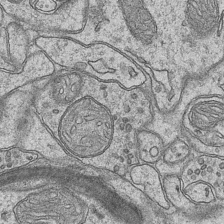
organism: Mouse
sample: CA1 Hippocampus